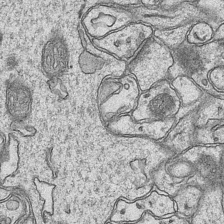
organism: Mouse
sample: CA1 Hippocampus